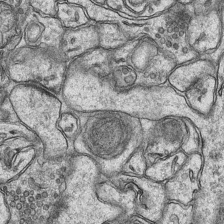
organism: Mouse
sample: CA1 Hippocampus